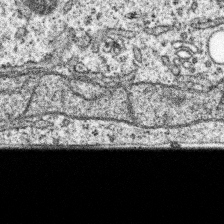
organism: Human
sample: HeLa cells